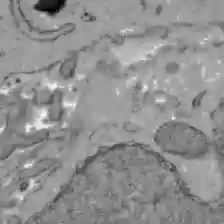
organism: C57BL Mouse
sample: Liver